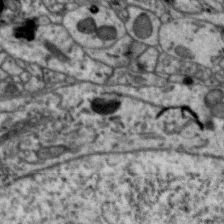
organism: Zebra finch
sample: Brain